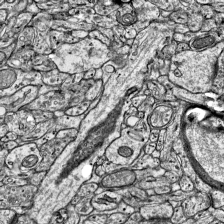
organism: Mouse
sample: Visual Cortex